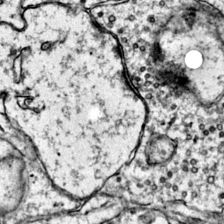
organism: Mouse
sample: Primary visual cortex